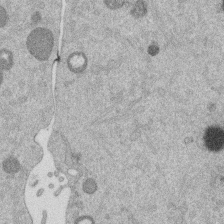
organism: Mouse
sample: Dividing mouse embryo 1 cell stage